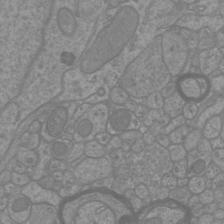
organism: Mouse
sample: Cortical neurons